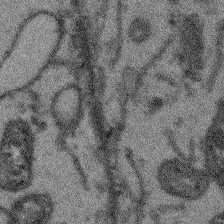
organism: Arabidopsis thaliana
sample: Root tip